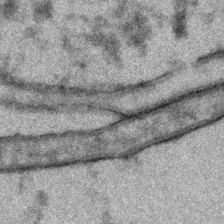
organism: Zebrafish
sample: Zebrafish embryo